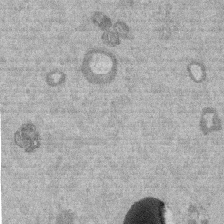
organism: Mouse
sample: Dividing mouse embryo 1 cell stage